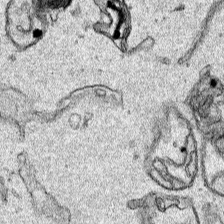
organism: Human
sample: Mitochondria in HCT116 cells